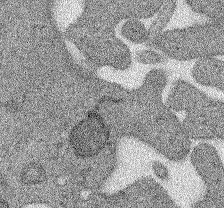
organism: Human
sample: HeLa cells